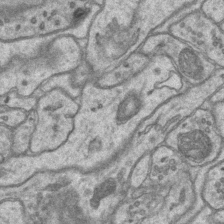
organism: Mouse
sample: CA1 Hippocampus